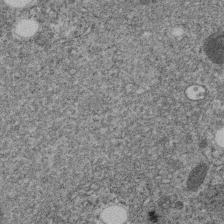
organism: C. elegans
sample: C. elegans embryo early stage